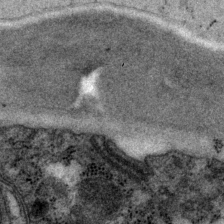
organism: P. pacificus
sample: Pharynx